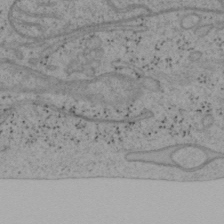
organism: Human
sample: HeLa cells